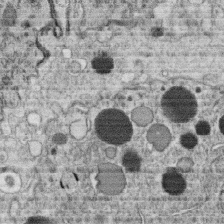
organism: C. elegans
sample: C. elegans oocyte; sperm cells